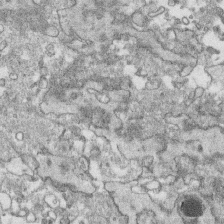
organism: Human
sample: CRL-1474